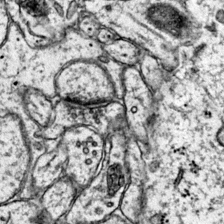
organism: Mouse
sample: Primary visual cortex